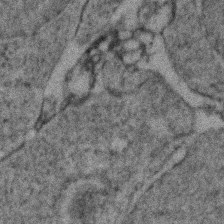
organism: Zebrafish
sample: Zebrafish embryo